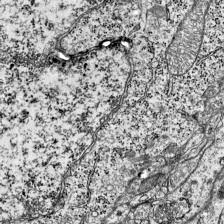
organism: Mouse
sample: Visual Cortex